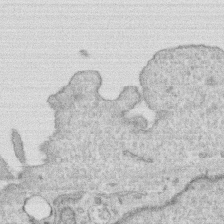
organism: Human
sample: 1205lu cells